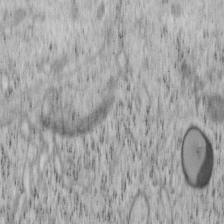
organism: Human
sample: HeLa cells